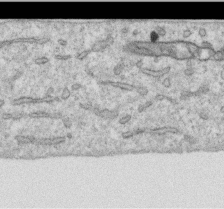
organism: Human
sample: Centriole in RPE cells